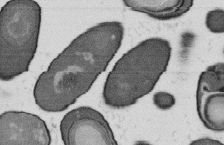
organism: B. subtilis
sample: Bacterial spore